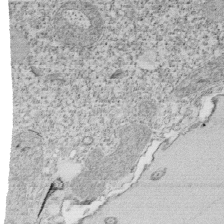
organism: Tetrahymena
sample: Cilia in tetrahymena